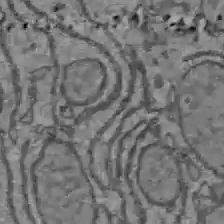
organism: C57BL Mouse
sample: Liver